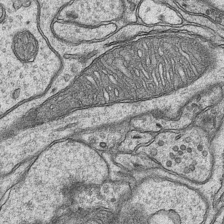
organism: Mouse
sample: CA1 Hippocampus